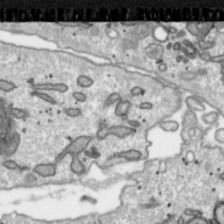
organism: Toxoplasma gondii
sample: Parasites in a vacuole inside a host cell